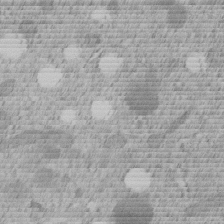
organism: C. elegans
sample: C. elegans embryo early stage